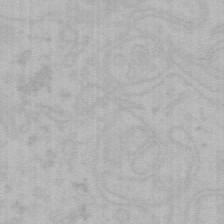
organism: Mouse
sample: Choroid plexus